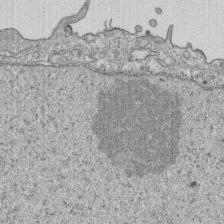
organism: Human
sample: HeLa cell HIV synapse